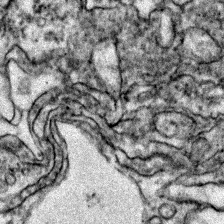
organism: Zebrafish